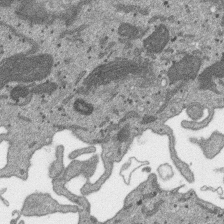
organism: Human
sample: Lung epithelial cells infected with SARS-CoV-2